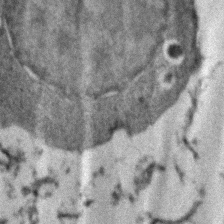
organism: Zebrafish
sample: Zebrafish embryo